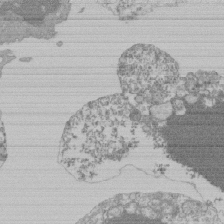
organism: Mouse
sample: Activated Pmel transgenic CD8+ T Cells